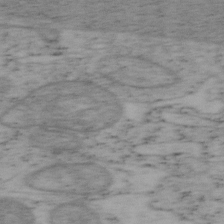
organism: Mouse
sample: OT-I killer T cells with ID8 ovarian cancer cells